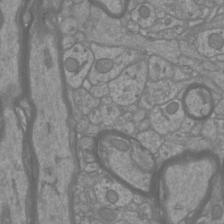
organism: Mouse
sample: Cortical neurons